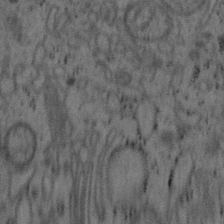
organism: Human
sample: HeLa cells